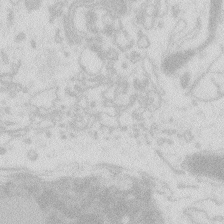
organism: Zebrafish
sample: Macrophage